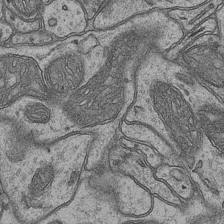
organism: Mouse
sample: CA1 Hippocampus